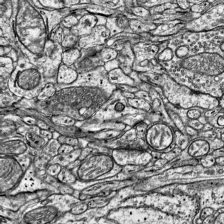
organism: Mouse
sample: Visual Cortex